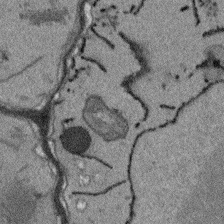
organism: Arabidopsis thaliana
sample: Root tip